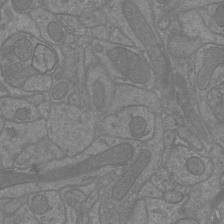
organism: Mouse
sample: Cortical neurons